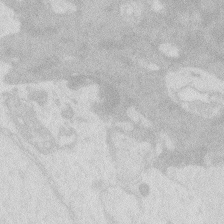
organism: Zebrafish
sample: Macrophage